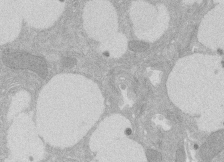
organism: Rat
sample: Salivary granule